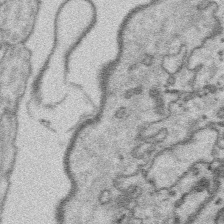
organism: Platynereis dumerilii